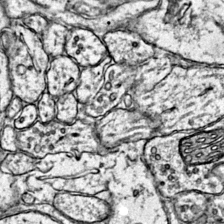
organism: Mouse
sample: Primary visual cortex